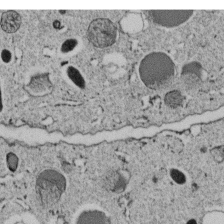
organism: C. elegans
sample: C. elegans embryo early stage